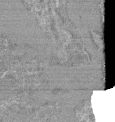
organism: Mouse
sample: Glomerulus